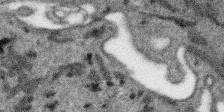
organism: Human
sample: Lung epithelial cells infected with SARS-CoV-2